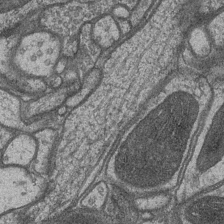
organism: Drosophila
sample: Optic medulla